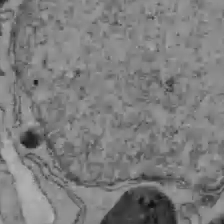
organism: C57BL Mouse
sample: Liver